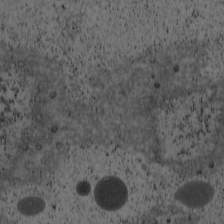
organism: African green monkey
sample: COS-7 cells